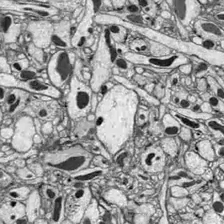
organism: Drosophila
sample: Optic lobe